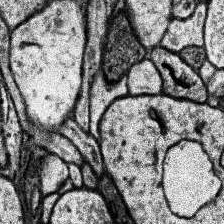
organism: Human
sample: Temporal Lobe